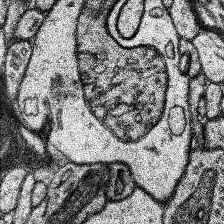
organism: Human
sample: Temporal Lobe